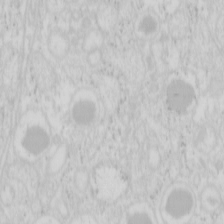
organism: Mouse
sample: Pancreas